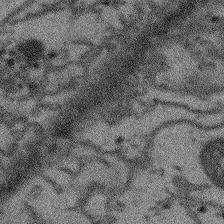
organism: Arabidopsis thaliana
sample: Root tip